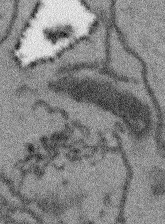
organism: Arabidopsis thaliana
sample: Root tip